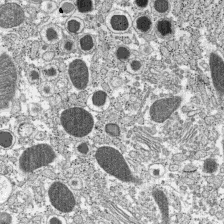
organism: C57BL Mouse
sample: Pancreatic islet